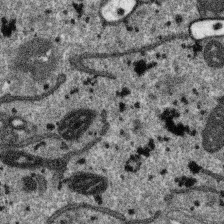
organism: Human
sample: Lung epithelial cells infected with SARS-CoV-2